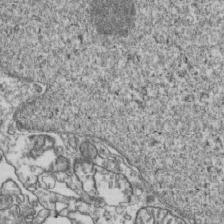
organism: Human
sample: Activated Jurkat CD4+ T cells